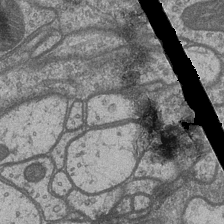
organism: Drosophila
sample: Optic medulla